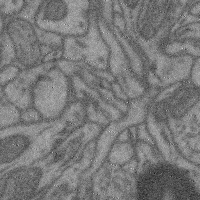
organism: Mouse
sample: Cerebral cortex